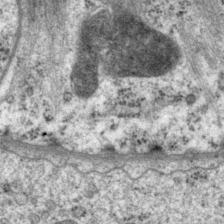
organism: P. pacificus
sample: Pharynx